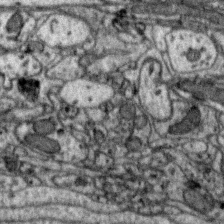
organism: Zebra finch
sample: Brain